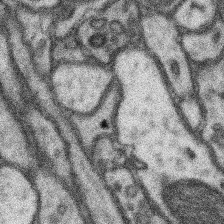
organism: Mouse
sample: Somatosensory cortex neuropil